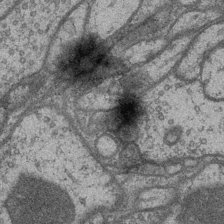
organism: Drosophila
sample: Optic medulla